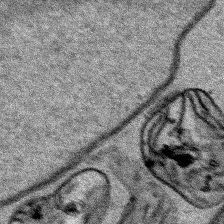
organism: Human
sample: Mitochondria in HCT116 cells